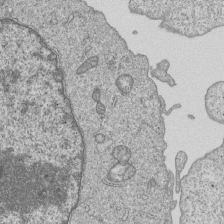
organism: Human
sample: MDA-MB-231 cells